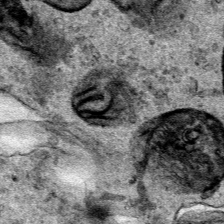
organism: Human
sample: Mitochondria in HCT116 cells